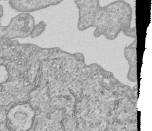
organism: Human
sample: MDA-MB-231 cells